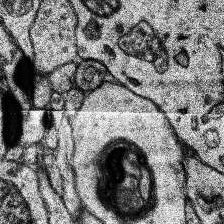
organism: Human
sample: Temporal Lobe